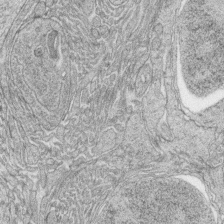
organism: Zebrafish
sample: synaptic ribbons in rod cells and cone cells